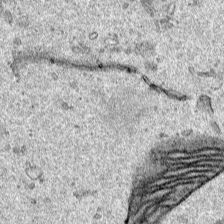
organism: Human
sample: Mitochondria in HCT116 cells